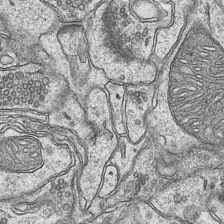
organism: Mouse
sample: CA1 Hippocampus